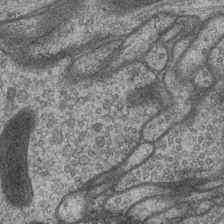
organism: Drosophila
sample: Optic medulla